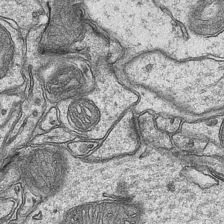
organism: Mouse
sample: CA1 Hippocampus